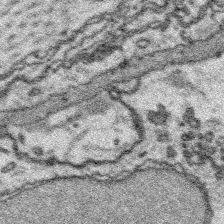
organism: Platynereis dumerilii